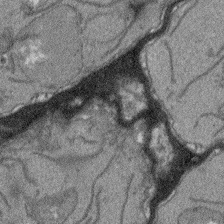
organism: Arabidopsis thaliana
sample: Root tip